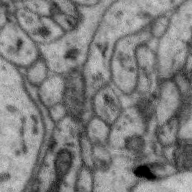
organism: Zebra finch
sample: Brain